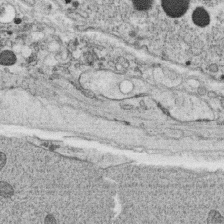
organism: C. elegans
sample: C. elegans oocyte; sperm cells